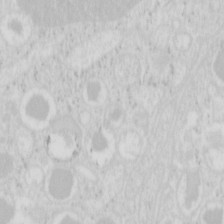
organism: Mouse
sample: Pancreas